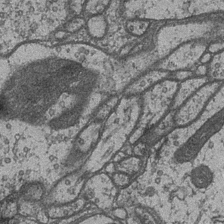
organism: Drosophila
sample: Optic medulla